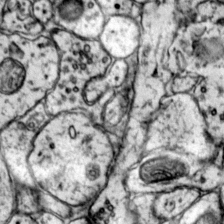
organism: Mouse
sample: Primary visual cortex